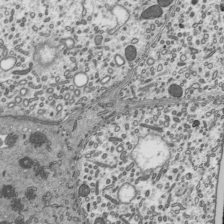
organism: Mouse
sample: Mouse epididymis efferent ductule cilia